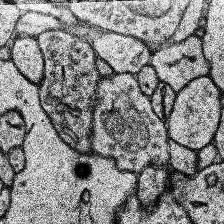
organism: Human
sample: Temporal Lobe